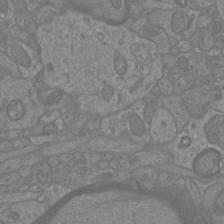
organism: Mouse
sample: Cortical neurons